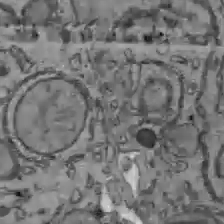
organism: C57BL Mouse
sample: Liver